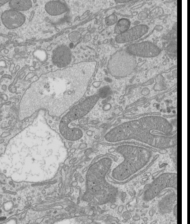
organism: Mouse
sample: Cilia; mouse epididymis